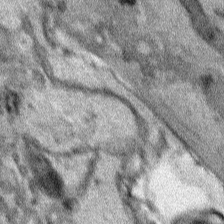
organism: Human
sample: Mitochondria in HCT116 cells